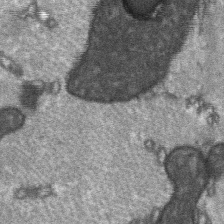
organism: C57BL Mouse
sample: Soleus